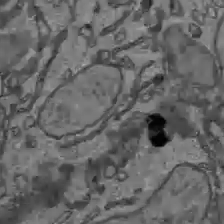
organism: C57BL Mouse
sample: Liver